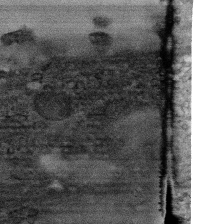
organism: Human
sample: CRL-1474